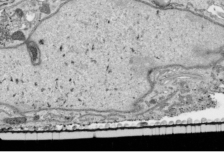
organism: Human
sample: Mitochondria in HCT116 cells